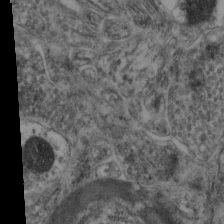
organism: Mouse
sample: Neocortex